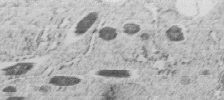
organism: C. elegans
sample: C. elegans embryo early stage